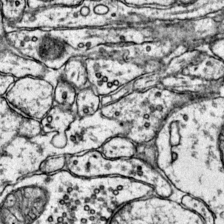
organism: Mouse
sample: Primary visual cortex